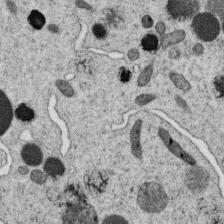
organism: C. elegans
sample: C. elegans oocyte; sperm cells